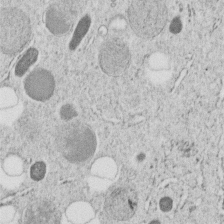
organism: C. elegans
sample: C. elegans embryo early stage